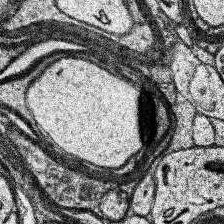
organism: Human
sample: Temporal Lobe